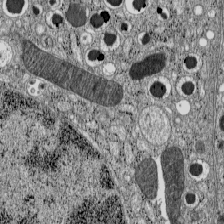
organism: C57BL Mouse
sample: Pancreatic islet